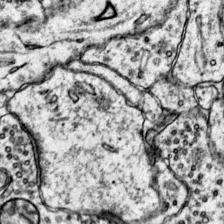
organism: Mouse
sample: Primary visual cortex